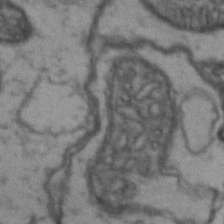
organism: Drosophila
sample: Brain